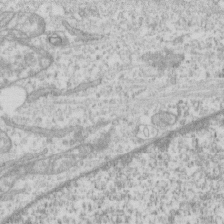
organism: Human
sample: CRL-1474